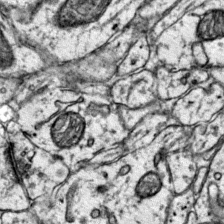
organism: Mouse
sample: Primary visual cortex